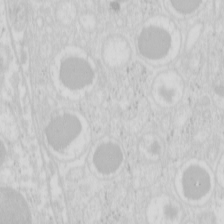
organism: Mouse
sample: Pancreas